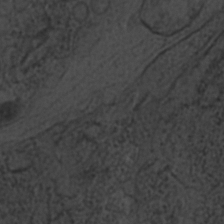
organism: C. elegans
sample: C. elegans embryo